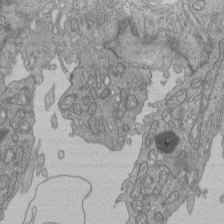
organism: Human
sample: Retinal organoid Rod and Cone cells